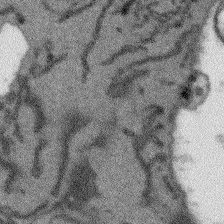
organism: Arabidopsis thaliana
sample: Root tip